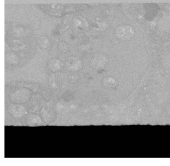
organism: C. elegans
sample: C. elegans oocyte; sperm cells